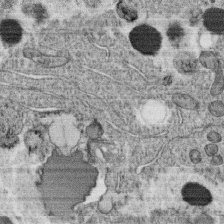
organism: C. elegans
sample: C. elegans oocyte; sperm cells